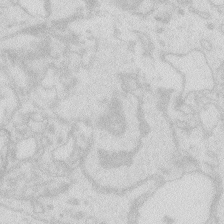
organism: Zebrafish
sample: Macrophage